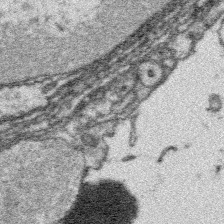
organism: Platynereis dumerilii